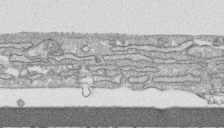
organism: Human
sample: CRL-1474